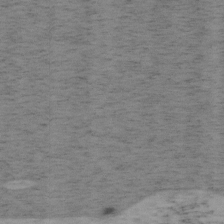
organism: Mouse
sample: OT-I killer T cells with ID8 ovarian cancer cells